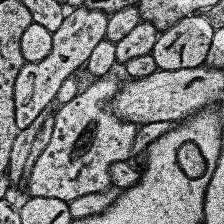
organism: Human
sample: Temporal Lobe